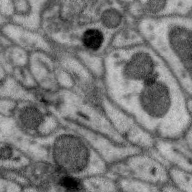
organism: Zebra finch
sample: Brain